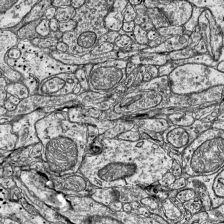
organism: Mouse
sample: Visual Cortex